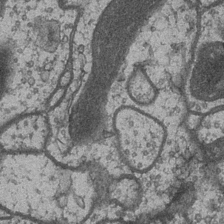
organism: Drosophila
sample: Optic medulla